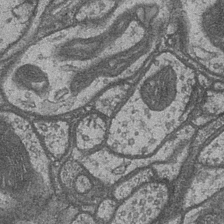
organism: Drosophila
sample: Optic medulla